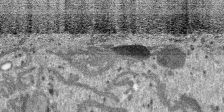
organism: Human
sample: Lung epithelial cells infected with SARS-CoV-2